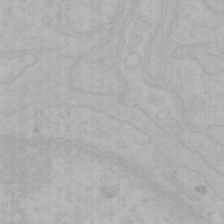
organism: Mouse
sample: Choroid plexus